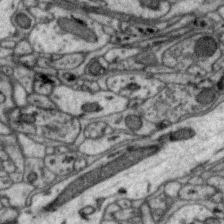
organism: Zebra finch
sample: Brain